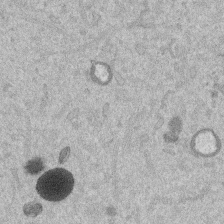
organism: Mouse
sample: Dividing mouse embryo 1 cell stage